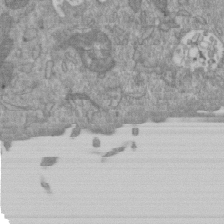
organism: Mouse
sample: ED-1 cell nuclei; centrioles